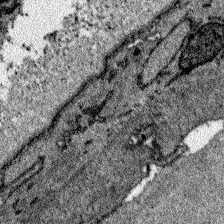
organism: Zebrafish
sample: Larval olfactory bulb